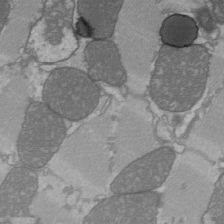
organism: C57BL Mouse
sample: Heart